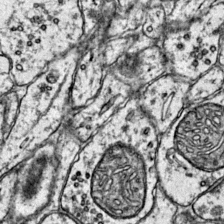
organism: Mouse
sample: Primary visual cortex